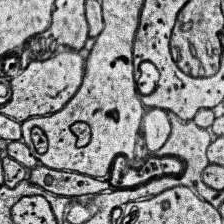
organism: Human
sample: Temporal Lobe